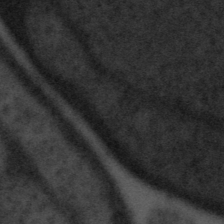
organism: Tuwongella immobilis